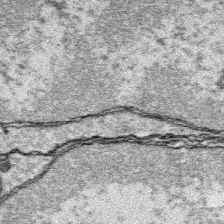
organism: Platynereis dumerilii